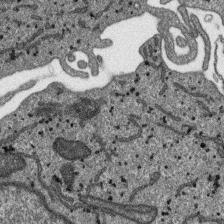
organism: Human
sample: Lung epithelial cells infected with SARS-CoV-2